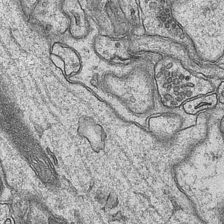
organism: Mouse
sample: CA1 Hippocampus